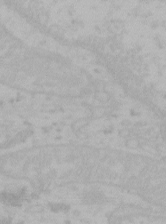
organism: Mouse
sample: Choroid plexus